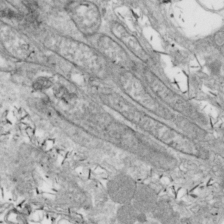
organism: Drosophila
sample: Cell division; meiosis; drosophila spermatocytes